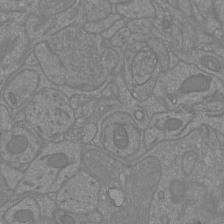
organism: Mouse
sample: Cortical neurons